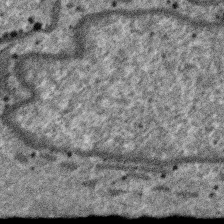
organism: Human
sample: Lung epithelial cells infected with SARS-CoV-2